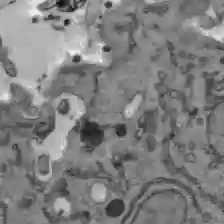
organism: C57BL Mouse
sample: Liver